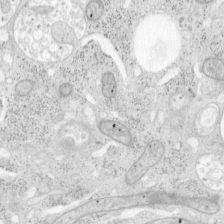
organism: Mouse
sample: OT-I killer T cells with ID8 ovarian cancer cells